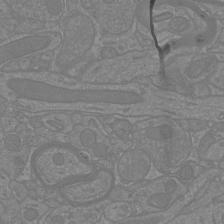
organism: Mouse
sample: Cortical neurons